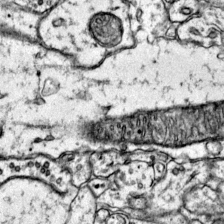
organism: Mouse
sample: Primary visual cortex